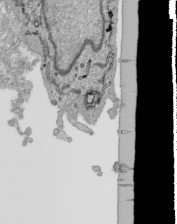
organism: Human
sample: Mitochondria in HCT116 cells